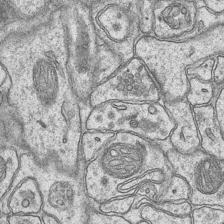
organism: Mouse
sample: CA1 Hippocampus